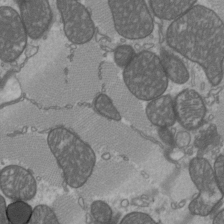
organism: C57BL Mouse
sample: Heart